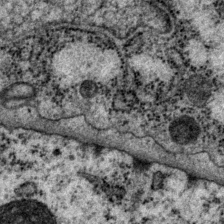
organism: P. pacificus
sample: Pharynx